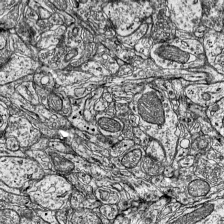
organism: Mouse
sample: Visual Cortex